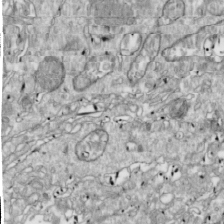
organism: Drosophila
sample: Cell division; meiosis; drosophila spermatocytes